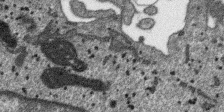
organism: Human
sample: Lung epithelial cells infected with SARS-CoV-2